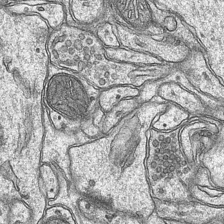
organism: Mouse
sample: CA1 Hippocampus